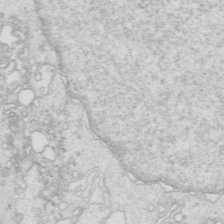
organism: Mouse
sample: Multiciliated cells